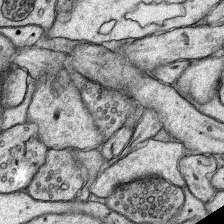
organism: Rat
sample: Hippocampus